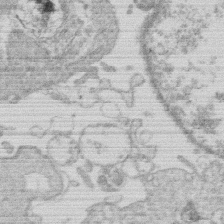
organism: Human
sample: Macrophage cells